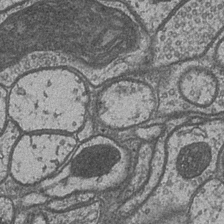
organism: Drosophila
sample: Optic medulla